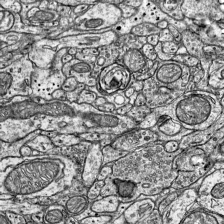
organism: Mouse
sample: Visual Cortex